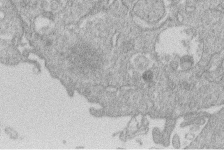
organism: Human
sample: Macrophage cells